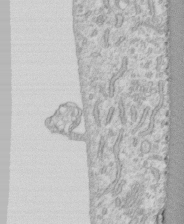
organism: Human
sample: CRL-1474